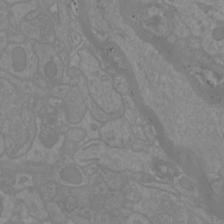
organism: Mouse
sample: Cortical neurons